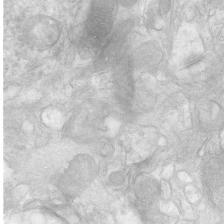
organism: Human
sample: Neocortex